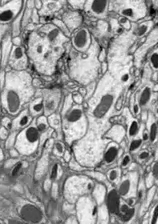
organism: Drosophila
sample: Optic lobe